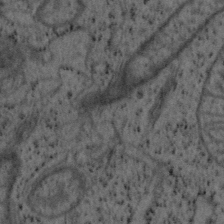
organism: Human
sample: HeLa cells